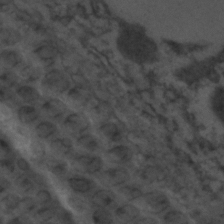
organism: C. elegans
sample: C. elegans embryo